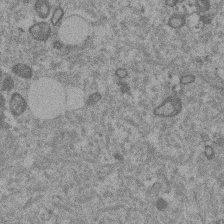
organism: Mouse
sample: Dividing mouse embryo 1 cell stage